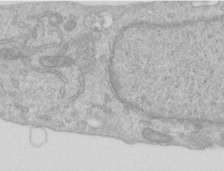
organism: Human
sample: Centriole in RPE cells